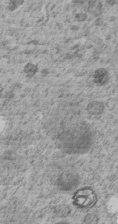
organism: C. elegans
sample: C. elegans embryo early stage